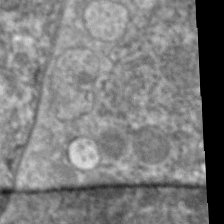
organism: C. elegans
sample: Pharynx